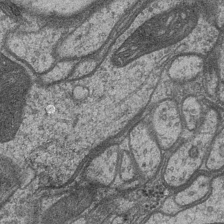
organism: Drosophila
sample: Optic medulla